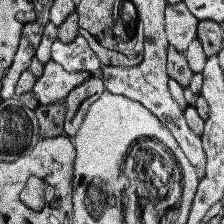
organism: Human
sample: Temporal Lobe